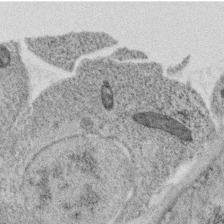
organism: C. elegans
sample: C. elegans oocyte; sperm cells